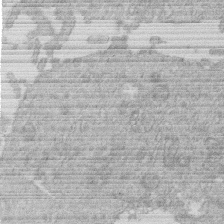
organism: Human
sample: Macrophage cells